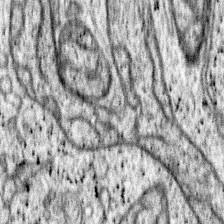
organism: Human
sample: HeLa cells